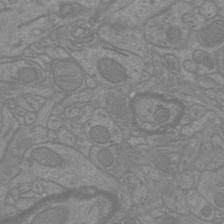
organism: Mouse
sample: Cortical neurons